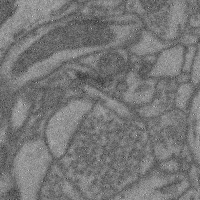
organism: Mouse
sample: Cerebral cortex